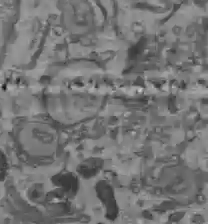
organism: C57BL Mouse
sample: Liver